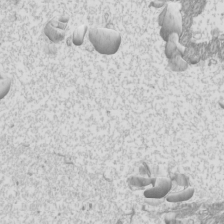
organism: Mouse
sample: Cilia; mouse epididymis